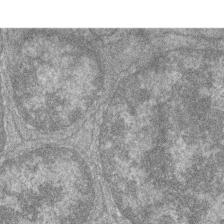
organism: Zebrafish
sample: Cilia; retinal pigment epithelium